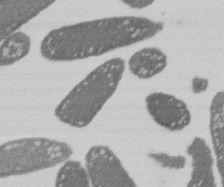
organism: E. coli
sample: Bacterial nucleoid